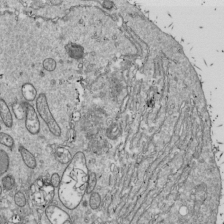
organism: Drosophila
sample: Cell division; meiosis; drosophila spermatocytes